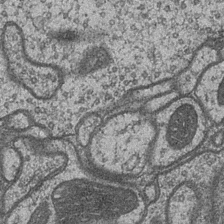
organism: Drosophila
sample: Optic medulla